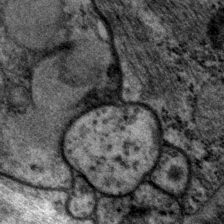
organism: P. pacificus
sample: Pharynx